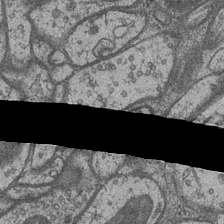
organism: Drosophila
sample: Optic medulla